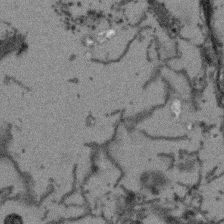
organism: Arabidopsis thaliana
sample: Root tip